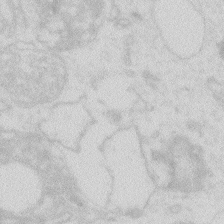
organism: Zebrafish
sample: Macrophage